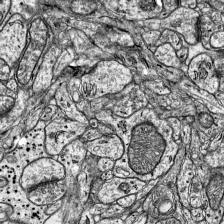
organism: Mouse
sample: Visual Cortex